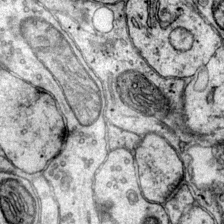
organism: Mouse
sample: Primary visual cortex